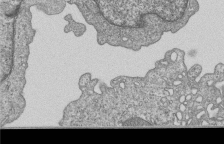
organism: Human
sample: MDA-MB-231 cells